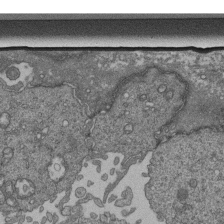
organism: Human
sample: Retinal organoid Rod and Cone cells